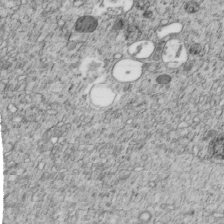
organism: C. elegans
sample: C. elegans embryo early stage